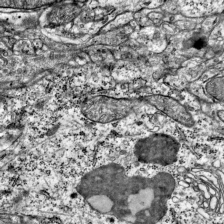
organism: Mouse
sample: Visual Cortex